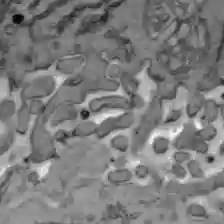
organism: C57BL Mouse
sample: Liver